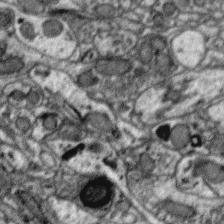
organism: Zebra finch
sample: Brain